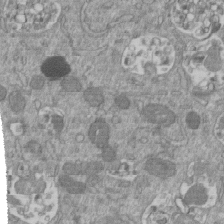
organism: Mouse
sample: ED-1 cell nuclei; centrioles